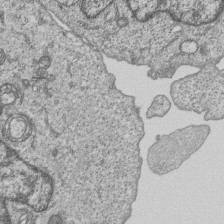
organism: Human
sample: MDA-MB-231 cells